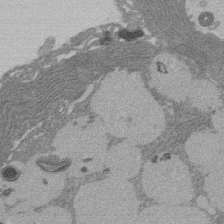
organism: Rat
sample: Salivary granule